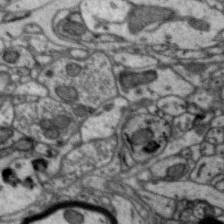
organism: Zebra finch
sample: Brain